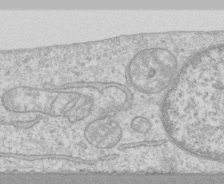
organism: Human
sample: CRL-1474